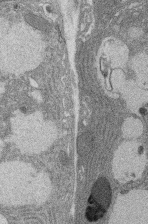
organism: Rat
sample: Salivary granule